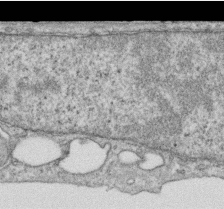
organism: Human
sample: Centriole in RPE cells